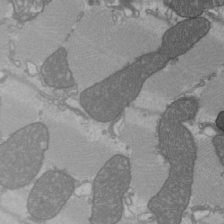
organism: C57BL Mouse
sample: Heart